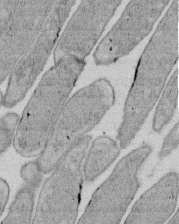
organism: E. coli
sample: Bacterial nucleoid